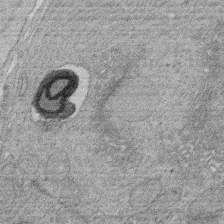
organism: Rat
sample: Salivary granule